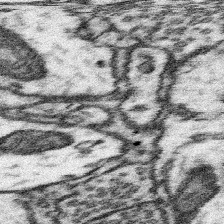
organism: Mouse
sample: Somatosensory cortex neuropil